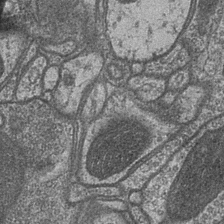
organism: Drosophila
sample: Optic medulla